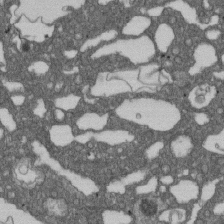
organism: Drosophila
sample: Nephrocyte